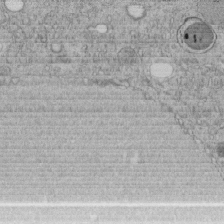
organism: C. elegans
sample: C. elegans embryo early stage